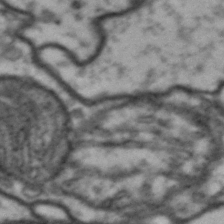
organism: Drosophila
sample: Brain